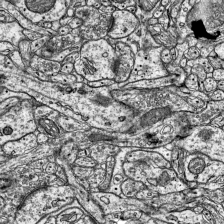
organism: Mouse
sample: Visual Cortex